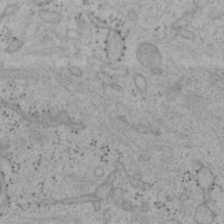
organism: Human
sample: HeLa cells